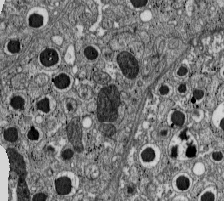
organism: C57BL Mouse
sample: Pancreatic islet